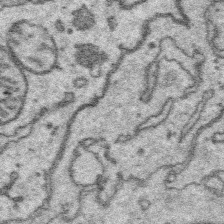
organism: Platynereis dumerilii